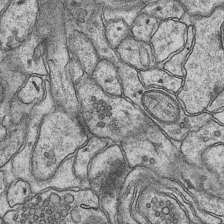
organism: Mouse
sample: CA1 Hippocampus